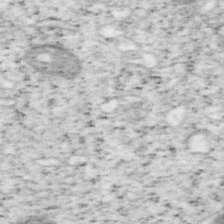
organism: Mouse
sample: OT-I killer T cells with ID8 ovarian cancer cells